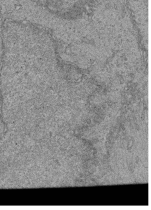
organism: Human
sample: Retinal organoid Rod and Cone cells